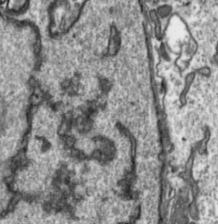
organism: Toxoplasma gondii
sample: Parasites in a vacuole inside a host cell